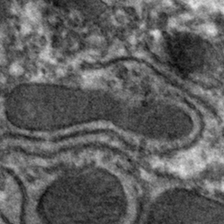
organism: Mouse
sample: Mouse hepatocytes